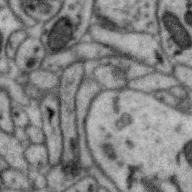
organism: Zebra finch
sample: Brain